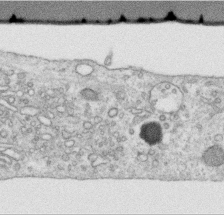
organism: Human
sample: Centriole in RPE cells